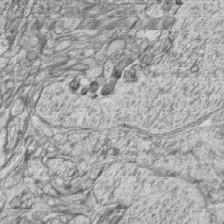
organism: Zebrafish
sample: synaptic ribbons in rod cells and cone cells